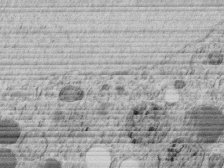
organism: C. elegans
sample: C. elegans embryo early stage